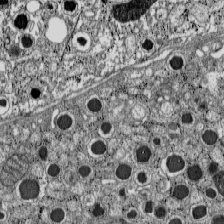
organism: C57BL Mouse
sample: Pancreatic islet